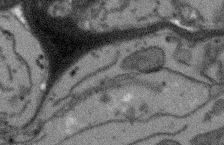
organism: Arabidopsis thaliana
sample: Root tip